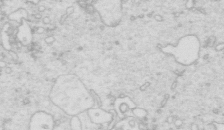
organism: Mouse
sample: Multiciliated cells